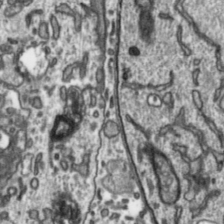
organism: Toxoplasma gondii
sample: Parasites in a vacuole inside a host cell